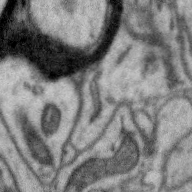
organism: Zebra finch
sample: Brain